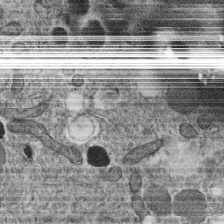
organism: C. elegans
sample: C. elegans oocyte; sperm cells